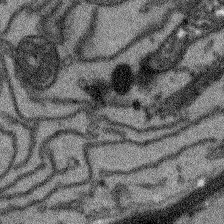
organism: Arabidopsis thaliana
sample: Root tip